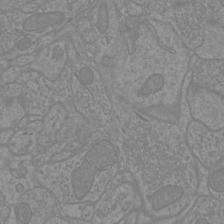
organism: Mouse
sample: Cortical neurons